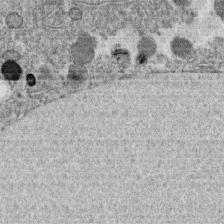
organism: C. elegans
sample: C. elegans oocyte; sperm cells